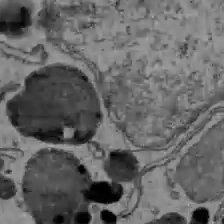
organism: C57BL Mouse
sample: Liver